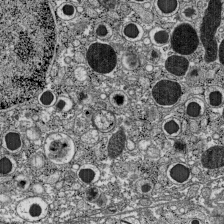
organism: C57BL Mouse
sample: Pancreatic islet